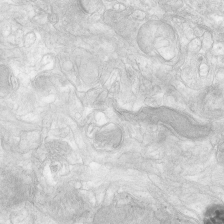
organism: Human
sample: Neocortex